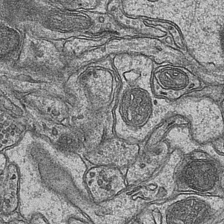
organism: Mouse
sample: CA1 Hippocampus